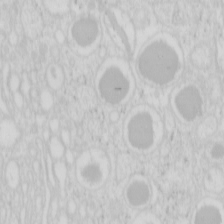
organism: Mouse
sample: Pancreas